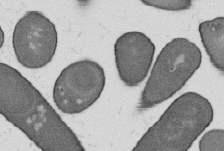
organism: B. subtilis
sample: Bacterial spore